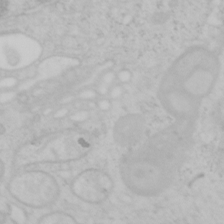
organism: Mouse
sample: OT-I killer T cells with ID8 ovarian cancer cells